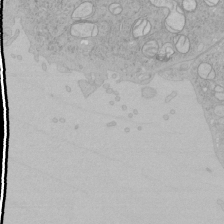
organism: Human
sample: Mitochondria in HCT116 cells